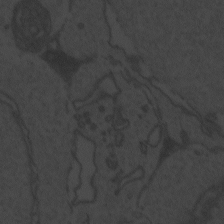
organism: Zebrafish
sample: Macrophage infected with Toxoplasma gondii